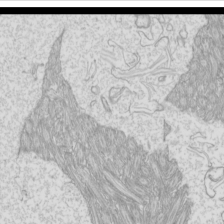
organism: Mouse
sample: Cilia; mouse epididymis